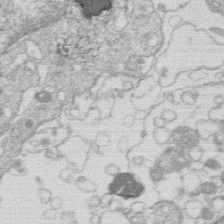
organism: Human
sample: Macrophage cells